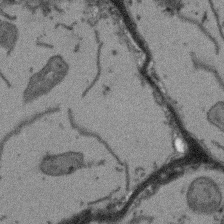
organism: Arabidopsis thaliana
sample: Root tip